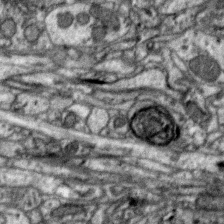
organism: Zebra finch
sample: Brain